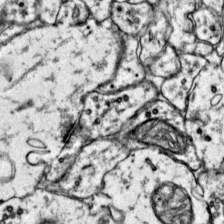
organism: Mouse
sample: Primary visual cortex